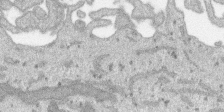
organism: Human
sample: Lung epithelial cells infected with SARS-CoV-2